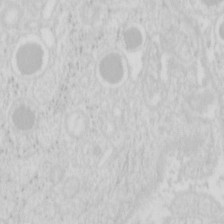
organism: Mouse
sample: Pancreas